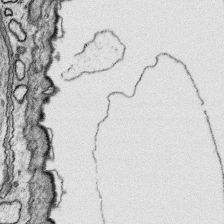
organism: Platynereis dumerilii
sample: Parapodia